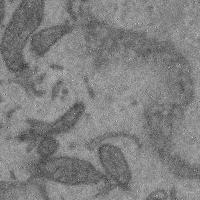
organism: Mouse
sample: Cerebral cortex